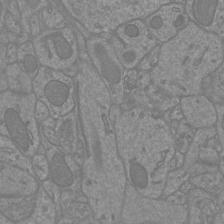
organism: Mouse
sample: Cortical neurons